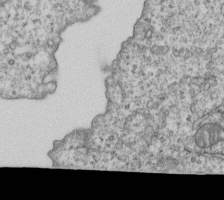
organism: Human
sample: MDA-MB-231 cells